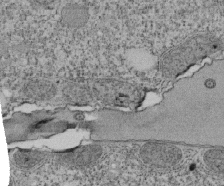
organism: Tetrahymena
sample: Cilia in tetrahymena